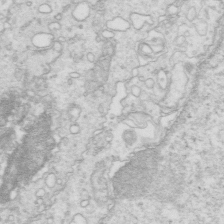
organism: Mouse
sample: Multiciliated cells